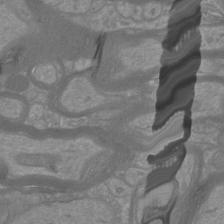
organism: Mouse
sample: Cortical neurons